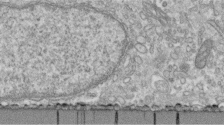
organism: Human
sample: Centriole in fibroblast cells